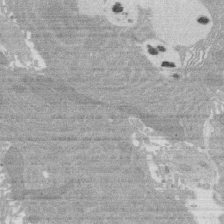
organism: Rat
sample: Salivary granule